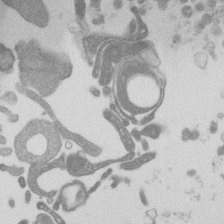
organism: Mouse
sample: Dividing mouse embryo 1 cell stage